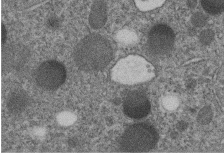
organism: C. elegans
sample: C. elegans embryo early stage